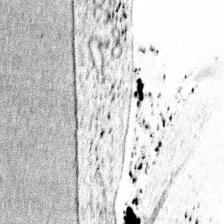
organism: Human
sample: HeLa cells